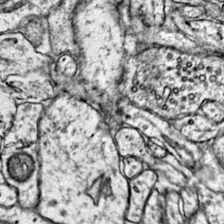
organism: Mouse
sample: Primary visual cortex